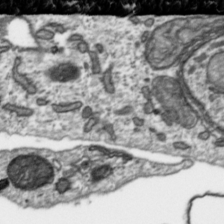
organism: Toxoplasma gondii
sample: Parasites in a vacuole inside a host cell